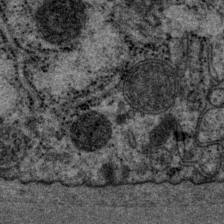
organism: P. pacificus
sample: Pharynx